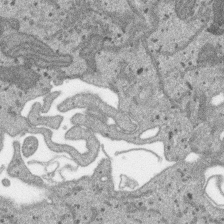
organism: Human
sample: Lung epithelial cells infected with SARS-CoV-2